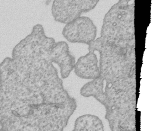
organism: Human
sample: MDA-MB-231 cells